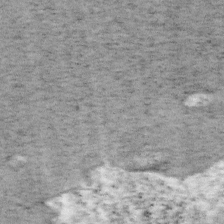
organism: Mouse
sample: OT-I killer T cells with ID8 ovarian cancer cells